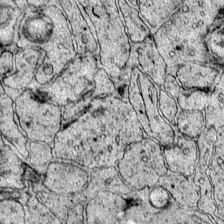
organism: Mouse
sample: Primary visual cortex